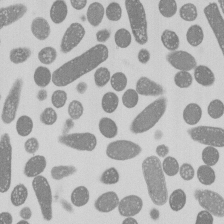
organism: E. coli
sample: Bacterial nucleoid